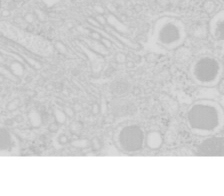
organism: Mouse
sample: Pancreas